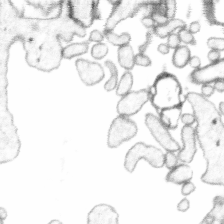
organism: Human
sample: HeLa cells